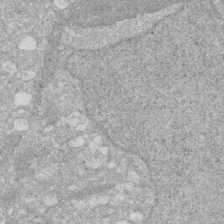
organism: Human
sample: HIV infected U937 cells